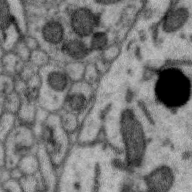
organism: Zebra finch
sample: Brain